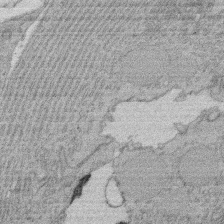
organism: Rat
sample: Salivary granule